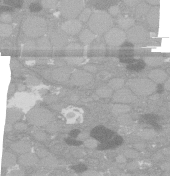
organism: C. elegans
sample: C. elegans oocyte; sperm cells